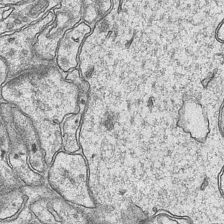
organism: Mouse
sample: CA1 Hippocampus